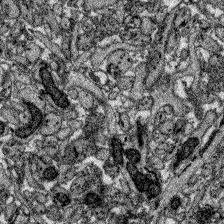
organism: Zebrafish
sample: Larval olfactory bulb